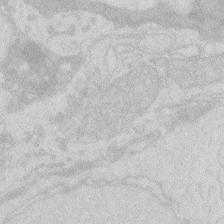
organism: Zebrafish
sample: Macrophage